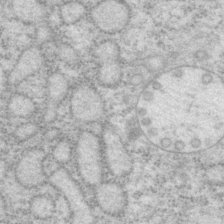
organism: P. pacificus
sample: Pharynx